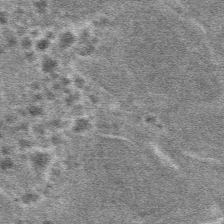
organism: Mouse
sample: Mouse hepatocytes